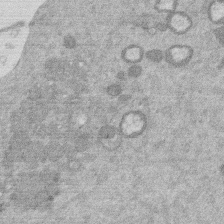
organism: Mouse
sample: Dividing mouse embryo 1 cell stage